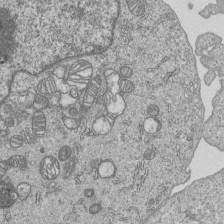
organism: Human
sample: MDA-MB-231 cells